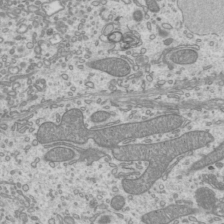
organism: Mouse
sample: Cilia; mouse epididymis